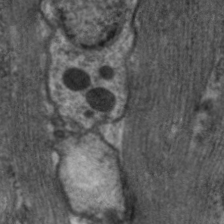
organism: C. elegans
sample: Pharynx